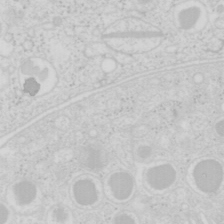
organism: Mouse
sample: Pancreas